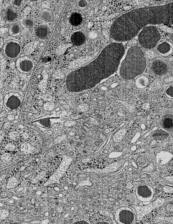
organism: C57BL Mouse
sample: Pancreatic islet